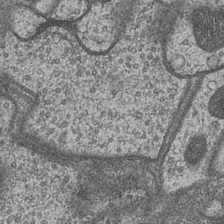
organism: Drosophila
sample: Optic medulla